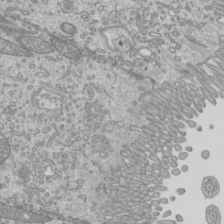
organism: Mouse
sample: Cilia; mouse epididymis